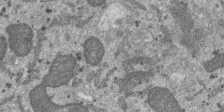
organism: Human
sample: Lung epithelial cells infected with SARS-CoV-2